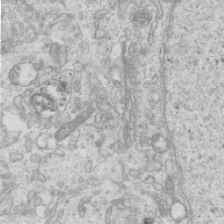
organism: Mouse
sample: Centriole in ependymal cells